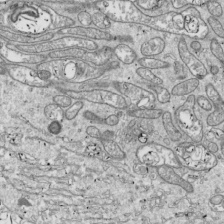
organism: Drosophila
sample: Cell division; meiosis; drosophila spermatocytes